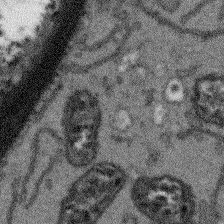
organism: Arabidopsis thaliana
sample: Root tip